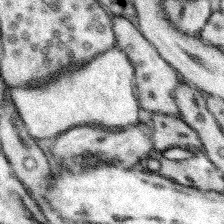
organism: Mouse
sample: Somatosensory cortex neuropil